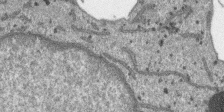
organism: Human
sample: Lung epithelial cells infected with SARS-CoV-2